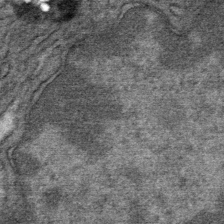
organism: Mouse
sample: Mouse Salivary gland